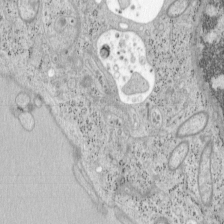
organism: Mouse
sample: OT-I killer T cells with ID8 ovarian cancer cells